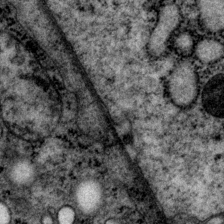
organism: P. pacificus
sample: Pharynx